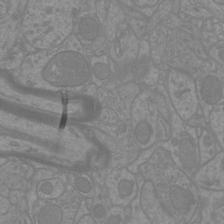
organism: Mouse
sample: Cortical neurons